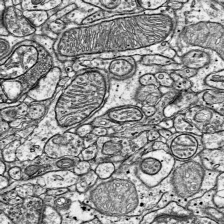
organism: Mouse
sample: Visual Cortex